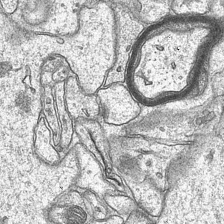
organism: Mouse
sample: CA1 Hippocampus